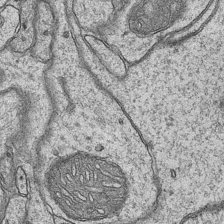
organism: Mouse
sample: CA1 Hippocampus